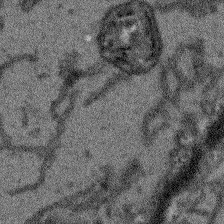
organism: Arabidopsis thaliana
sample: Root tip